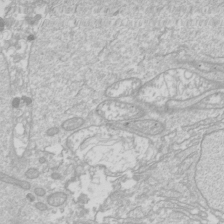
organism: Drosophila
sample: Cell division; meiosis; drosophila spermatocytes